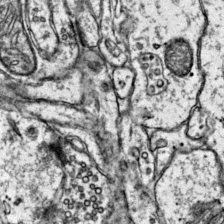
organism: Mouse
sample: Primary visual cortex